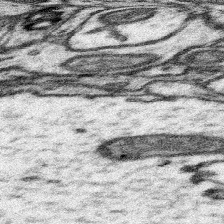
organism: Mouse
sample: Somatosensory cortex neuropil